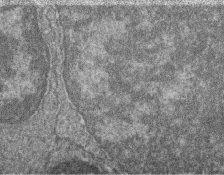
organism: Zebrafish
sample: Cilia; retinal pigment epithelium